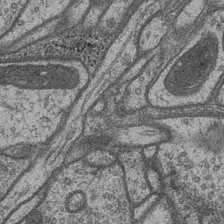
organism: Drosophila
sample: Optic medulla